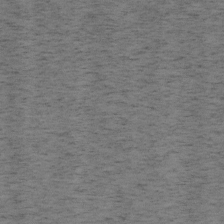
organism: Mouse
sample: OT-I killer T cells with ID8 ovarian cancer cells